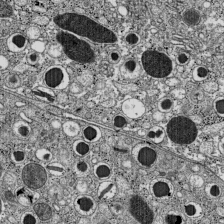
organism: C57BL Mouse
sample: Pancreatic islet